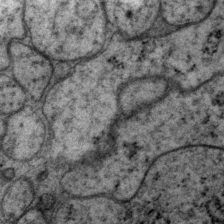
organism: P. pacificus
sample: Pharynx